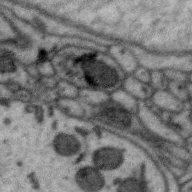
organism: Zebra finch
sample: Brain